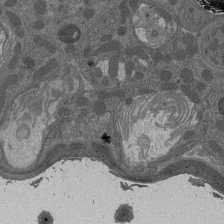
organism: Drosophila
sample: Antenna